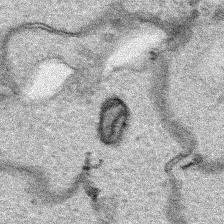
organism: Human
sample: Mitochondria in HCT116 cells